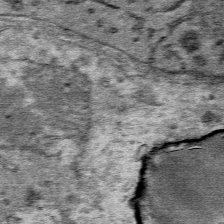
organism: Mouse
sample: Mouse Salivary gland